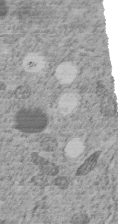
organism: C. elegans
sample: C. elegans embryo early stage